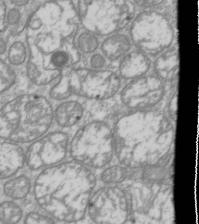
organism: Drosophila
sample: Cell division; meiosis; drosophila spermatocytes